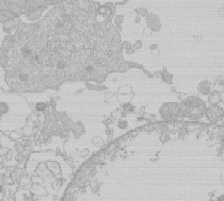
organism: Human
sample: Macrophage cells